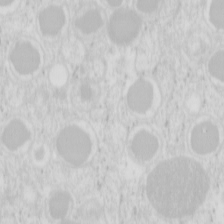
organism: Mouse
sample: Pancreas